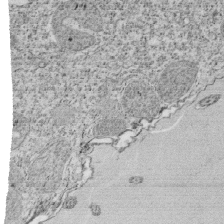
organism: Tetrahymena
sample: Cilia in tetrahymena